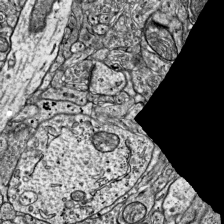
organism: Mouse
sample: Visual Cortex